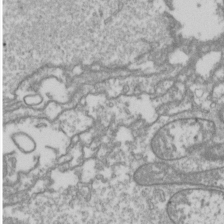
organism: Drosophila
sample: Cell division; meiosis; drosophila spermatocytes